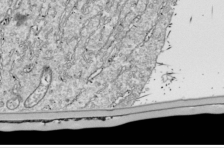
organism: Drosophila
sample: Cell division; meiosis; drosophila spermatocytes